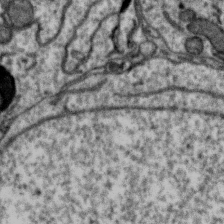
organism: Zebra finch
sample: Brain